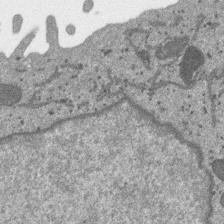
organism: Human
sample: Lung epithelial cells infected with SARS-CoV-2